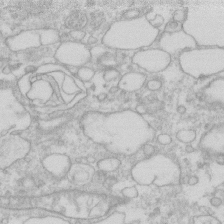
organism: Human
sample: Fibroblast cells